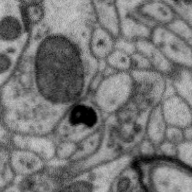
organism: Zebra finch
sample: Brain